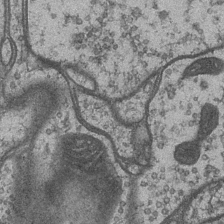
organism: Drosophila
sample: Optic medulla